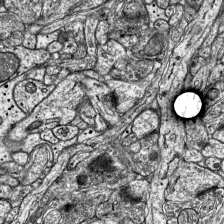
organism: Mouse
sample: Visual Cortex